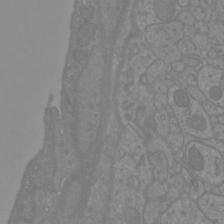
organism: Mouse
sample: Cortical neurons